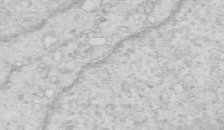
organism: Mouse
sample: Multiciliated cells